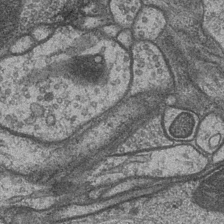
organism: Drosophila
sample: Optic medulla